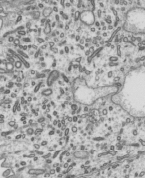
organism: Mouse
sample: Mouse epididymis efferent ductule cilia